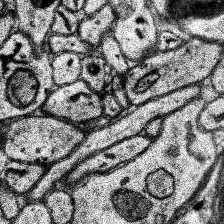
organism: Human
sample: Temporal Lobe